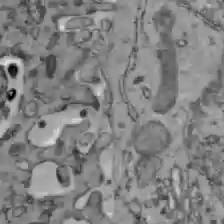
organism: C57BL Mouse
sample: Liver